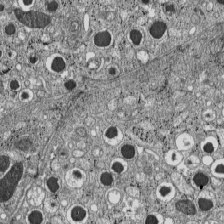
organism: C57BL Mouse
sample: Pancreatic islet